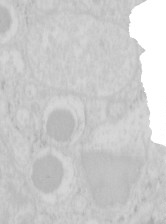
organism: Mouse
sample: Pancreas